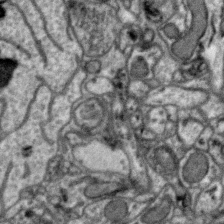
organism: Zebra finch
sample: Brain